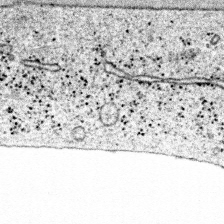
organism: Human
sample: HeLa cells